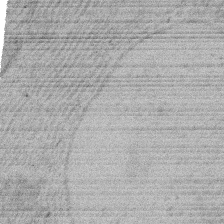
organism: Rat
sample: Salivary granule